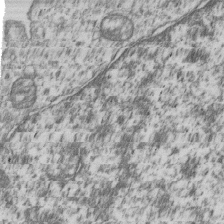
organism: Human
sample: MDA-MB-231 cells